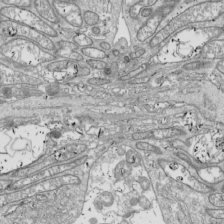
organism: Drosophila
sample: Cell division; meiosis; drosophila spermatocytes